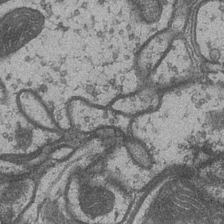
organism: Drosophila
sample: Optic medulla